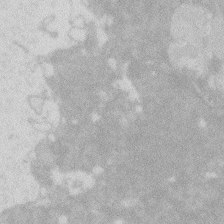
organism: Zebrafish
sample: Macrophage